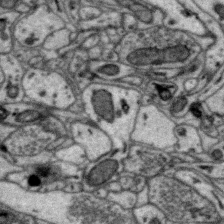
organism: Zebra finch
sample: Brain